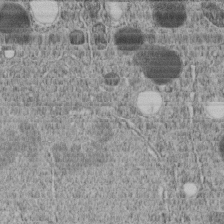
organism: C. elegans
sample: C. elegans embryo early stage